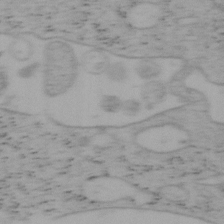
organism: Mouse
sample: OT-I killer T cells with ID8 ovarian cancer cells